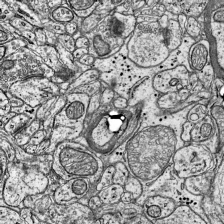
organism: Mouse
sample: Visual Cortex